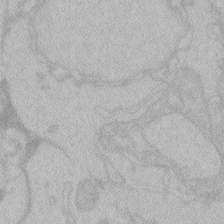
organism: Zebrafish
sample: Macrophage infected with Toxoplasma gondii